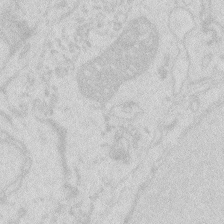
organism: Zebrafish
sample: Macrophage